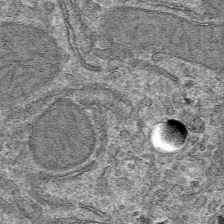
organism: Mouse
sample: Mouse hepatocytes